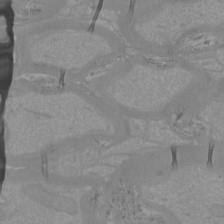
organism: Mouse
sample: Cortical neurons